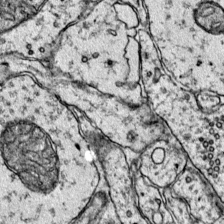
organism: Mouse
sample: Primary visual cortex